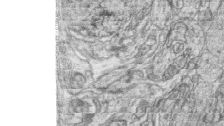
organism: Zebrafish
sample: synaptic ribbons in rod cells and cone cells